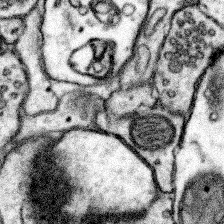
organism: Mouse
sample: Somatosensory cortex neuropil